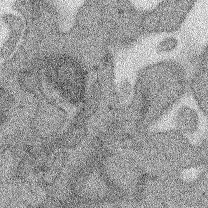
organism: Human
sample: HeLa cells